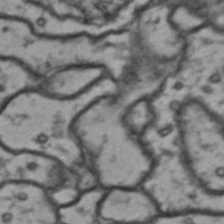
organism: Drosophila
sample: Brain